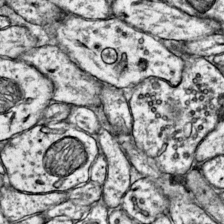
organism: Mouse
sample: Primary visual cortex